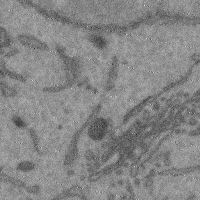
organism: Mouse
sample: Cerebral cortex